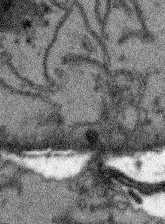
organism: Arabidopsis thaliana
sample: Root tip